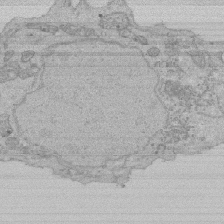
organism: Human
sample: Activated Jurkat CD4+ T cells